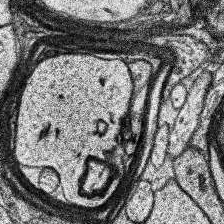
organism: Human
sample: Temporal Lobe